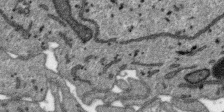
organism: Human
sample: Lung epithelial cells, uninfected (mock) control